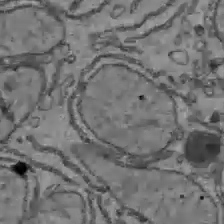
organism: C57BL Mouse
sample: Liver